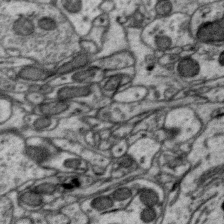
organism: Zebra finch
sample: Brain